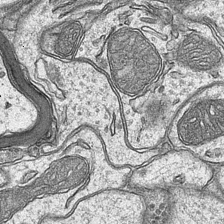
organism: Mouse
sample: CA1 Hippocampus